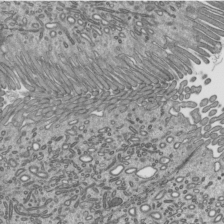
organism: Mouse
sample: Mouse epididymis efferent ductule cilia